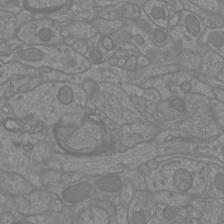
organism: Mouse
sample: Cortical neurons